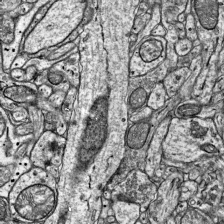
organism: Mouse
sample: Visual Cortex